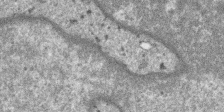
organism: Human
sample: Lung epithelial cells infected with SARS-CoV-2